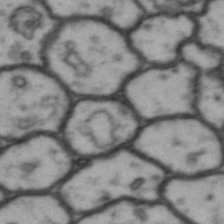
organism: Drosophila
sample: Brain